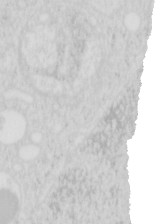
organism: Mouse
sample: Pancreas